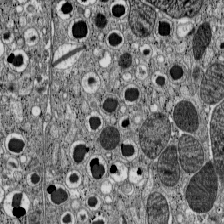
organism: C57BL Mouse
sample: Pancreatic islet